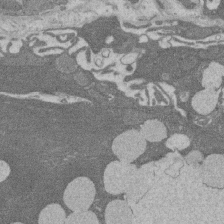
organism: Rat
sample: Salivary granule